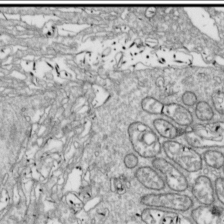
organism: Drosophila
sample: Cell division; meiosis; drosophila spermatocytes